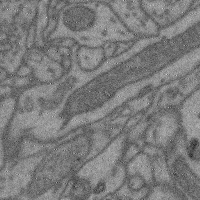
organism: Mouse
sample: Cerebral cortex